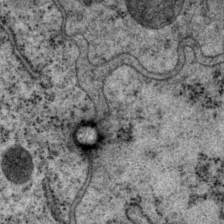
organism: P. pacificus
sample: Pharynx